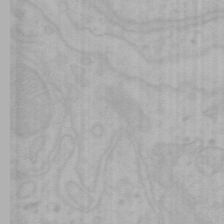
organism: Mouse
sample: Choroid plexus